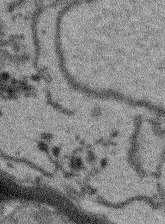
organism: Arabidopsis thaliana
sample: Root tip